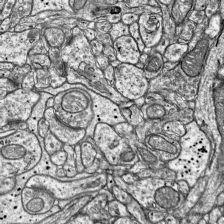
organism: Mouse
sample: Visual Cortex